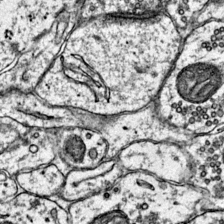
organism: Mouse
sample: Primary visual cortex